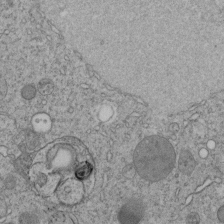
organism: C. elegans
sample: C. elegans embryo early stage